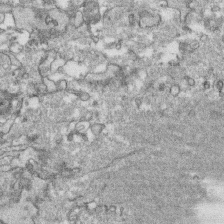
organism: Human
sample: CRL-1474